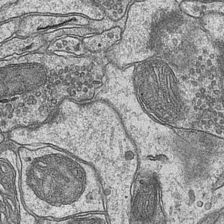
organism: Mouse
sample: CA1 Hippocampus